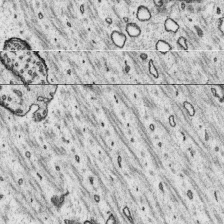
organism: Platynereis dumerilii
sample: Parapodia